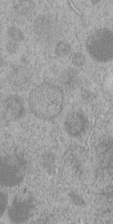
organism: C. elegans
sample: C. elegans embryo early stage